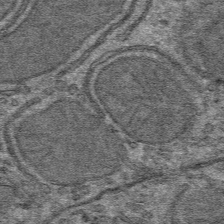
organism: Mouse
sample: Mouse hepatocytes